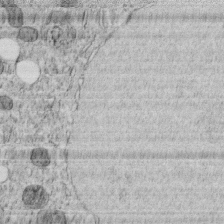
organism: C. elegans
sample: C. elegans embryo early stage